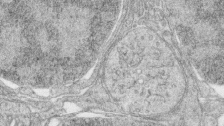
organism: Zebrafish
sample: synaptic ribbons in rod cells and cone cells